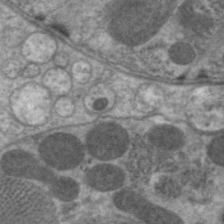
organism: C. elegans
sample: Pharynx